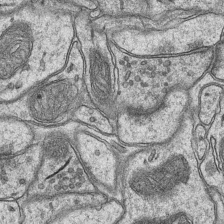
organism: Mouse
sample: CA1 Hippocampus